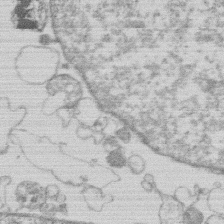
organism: Human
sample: Macrophage cells